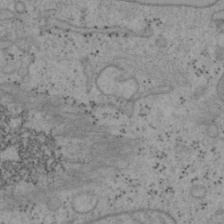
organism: Human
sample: HeLa cells